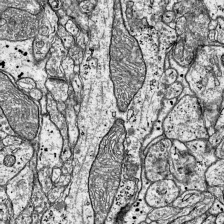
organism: Mouse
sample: Visual Cortex